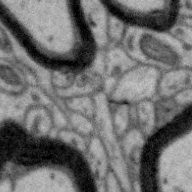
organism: Zebra finch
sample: Brain